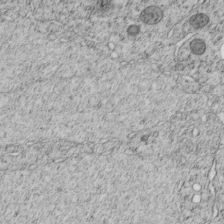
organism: C. elegans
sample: C. elegans embryo early stage